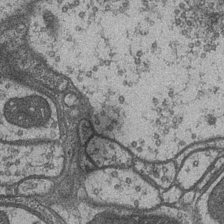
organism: Drosophila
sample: Optic medulla